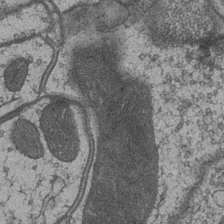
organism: Drosophila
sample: Optic medulla